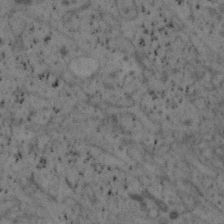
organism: Human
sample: HeLa cells